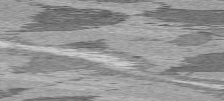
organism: C57BL Mouse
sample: Heart